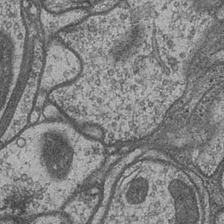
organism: Drosophila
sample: Optic medulla